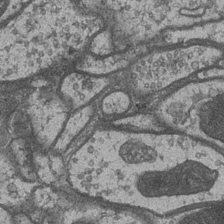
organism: Drosophila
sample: Optic medulla